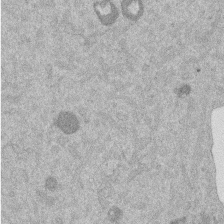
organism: Mouse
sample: Dividing mouse embryo 1 cell stage